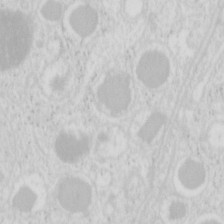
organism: Mouse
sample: Pancreas